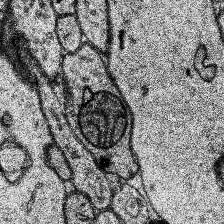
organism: Human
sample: Temporal Lobe